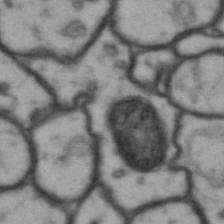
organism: Drosophila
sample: Brain